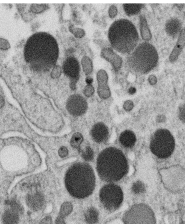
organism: C. elegans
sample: C. elegans oocyte; sperm cells